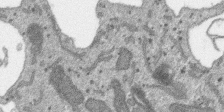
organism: Human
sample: Lung epithelial cells infected with SARS-CoV-2